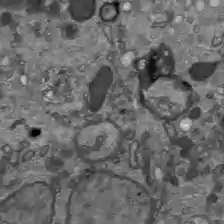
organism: C57BL Mouse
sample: Liver